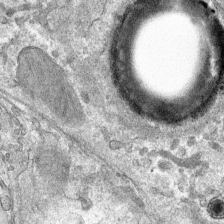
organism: Mouse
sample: Mouse hepatocytes